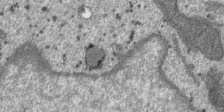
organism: Human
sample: Lung epithelial cells infected with SARS-CoV-2